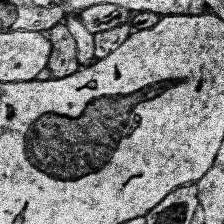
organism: Human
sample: Temporal Lobe